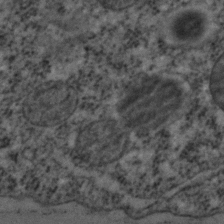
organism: C. elegans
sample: C. elegans embryo